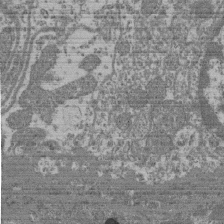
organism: Mouse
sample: Glomerulus